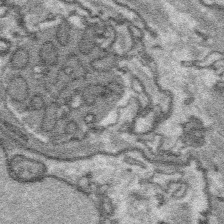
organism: Platynereis dumerilii